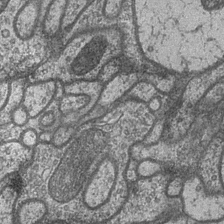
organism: Drosophila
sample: Optic medulla